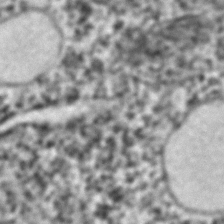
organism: C. elegans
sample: C. elegans embryo